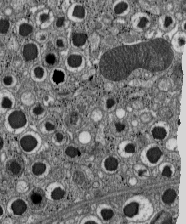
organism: C57BL Mouse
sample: Pancreatic islet